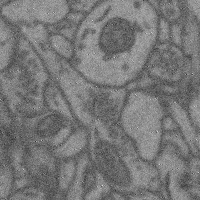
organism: Mouse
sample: Cerebral cortex